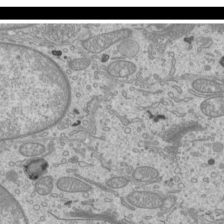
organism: Mouse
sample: Cilia; mouse epididymis